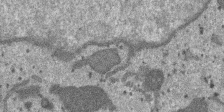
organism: Human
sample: Lung epithelial cells infected with SARS-CoV-2